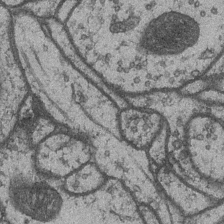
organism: Drosophila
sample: Optic medulla